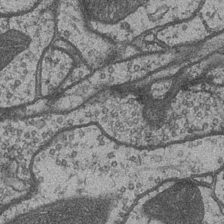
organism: Drosophila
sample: Optic medulla